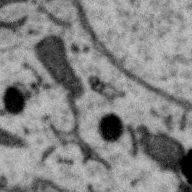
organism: Zebra finch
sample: Brain